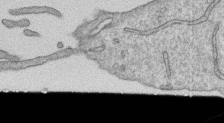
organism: Human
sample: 1205lu cells